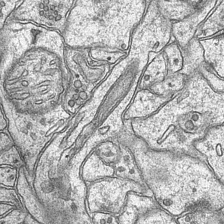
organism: Mouse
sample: CA1 Hippocampus